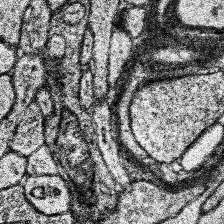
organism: Human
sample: Temporal Lobe